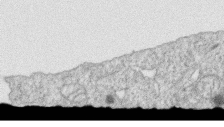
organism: Human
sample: HeLa cell HIV synapse